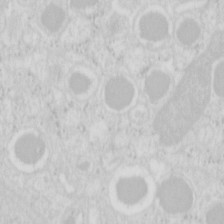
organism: Mouse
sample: Pancreas